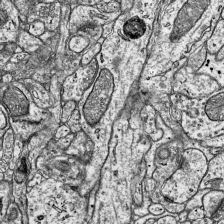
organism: Mouse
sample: Visual Cortex